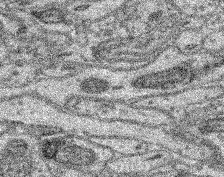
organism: Mouse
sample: Retina